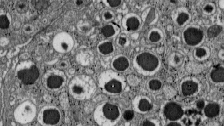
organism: C57BL Mouse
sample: Pancreatic islet